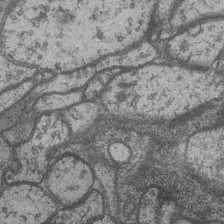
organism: Drosophila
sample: Optic medulla